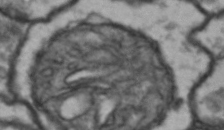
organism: Drosophila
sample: Brain